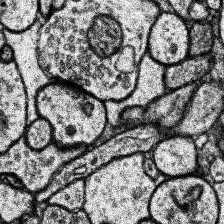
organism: Human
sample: Temporal Lobe